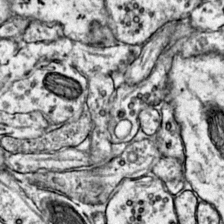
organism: Mouse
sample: Primary visual cortex